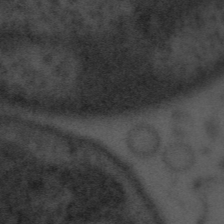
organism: Tuwongella immobilis